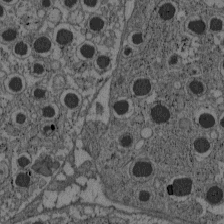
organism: C57BL Mouse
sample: Pancreatic islet